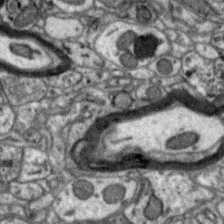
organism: Zebra finch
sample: Brain